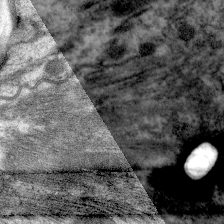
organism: C. elegans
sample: Pharynx